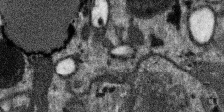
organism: Human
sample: Lung epithelial cells infected with SARS-CoV-2